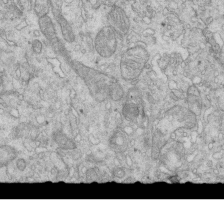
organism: Mouse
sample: Multiciliated cells